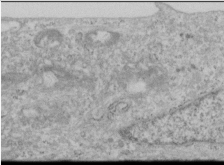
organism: Human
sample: Cilia; basal body in RPE cells